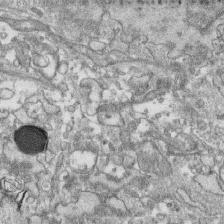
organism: Human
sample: CRL-1474